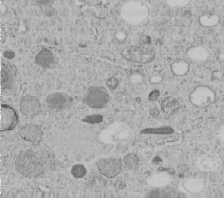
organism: C. elegans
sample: C. elegans embryo early stage